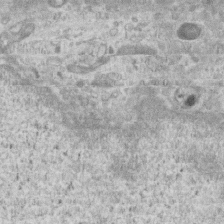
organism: Mouse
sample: Centriole in ependymal cells